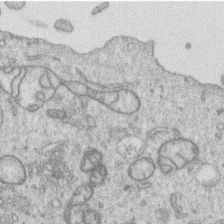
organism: Human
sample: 1205lu cells